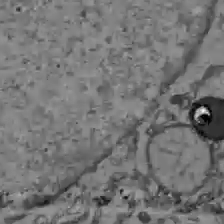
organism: C57BL Mouse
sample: Liver